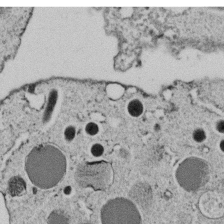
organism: C. elegans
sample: C. elegans embryo early stage